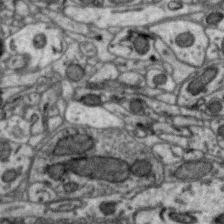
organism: Zebra finch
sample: Brain